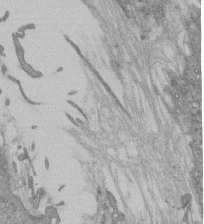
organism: Mouse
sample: ED-1 cell nuclei; centrioles